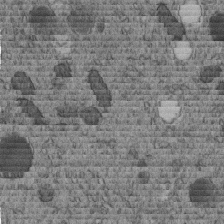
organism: C. elegans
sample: C. elegans embryo early stage